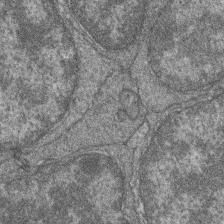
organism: Zebrafish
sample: Cilia; retinal pigment epithelium